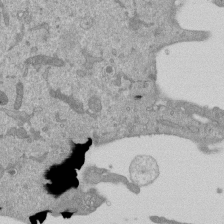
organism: Mouse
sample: ED-1 cell nuclei; centrioles